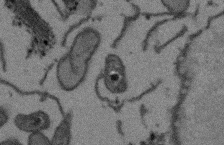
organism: Arabidopsis thaliana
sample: Root tip